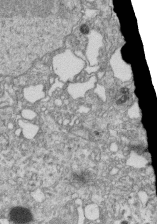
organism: Human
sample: HeLa cell HIV synapse